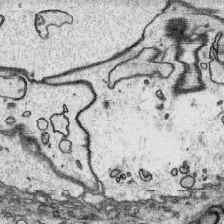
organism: Platynereis dumerilii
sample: Parapodia